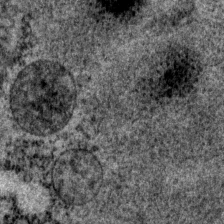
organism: P. pacificus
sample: Pharynx